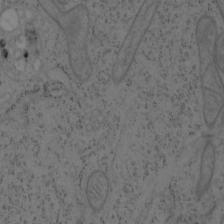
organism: Mouse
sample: OT-I killer T cells with ID8 ovarian cancer cells